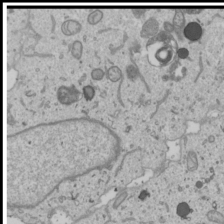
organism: Human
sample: Mitochondria in U2OS cells